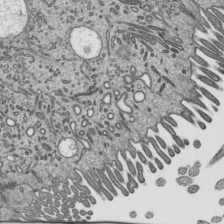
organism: Mouse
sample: Mouse epididymis efferent ductule cilia